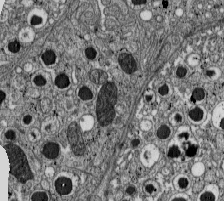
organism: C57BL Mouse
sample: Pancreatic islet